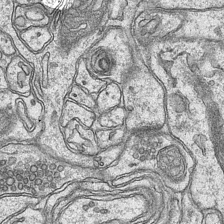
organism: Mouse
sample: CA1 Hippocampus